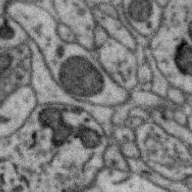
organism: Zebra finch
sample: Brain